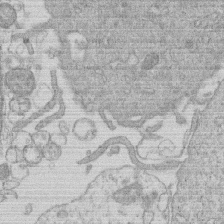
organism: Human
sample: Macrophage cells